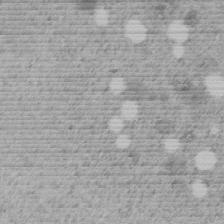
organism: C. elegans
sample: C. elegans embryo early stage